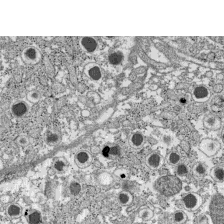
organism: C57BL Mouse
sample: Pancreatic islet